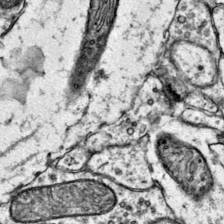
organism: Mouse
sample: Primary visual cortex